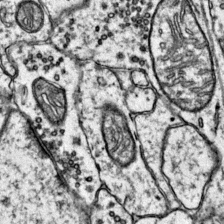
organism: Mouse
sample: Primary visual cortex